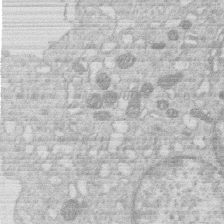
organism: Human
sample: Macrophage cells